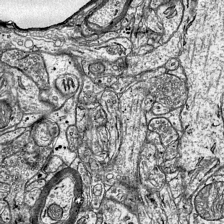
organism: Mouse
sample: Visual Cortex